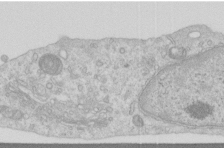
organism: Human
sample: Centriole in RPE cells